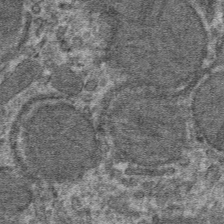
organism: Mouse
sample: Mouse hepatocytes